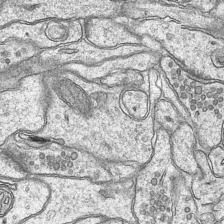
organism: Mouse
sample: CA1 Hippocampus